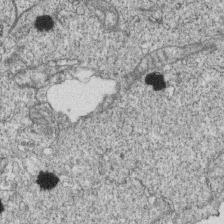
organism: Human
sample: HeLa cell HIV synapse